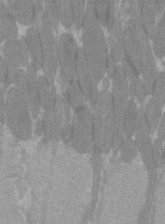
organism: C57BL Mouse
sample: Tibialis anterior muscle cell